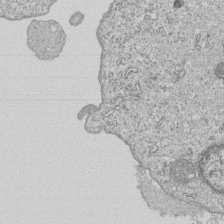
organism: Human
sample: MDA-MB-231 cells